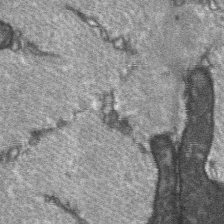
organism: C57BL Mouse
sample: Soleus